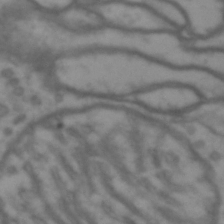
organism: Drosophila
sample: Brain